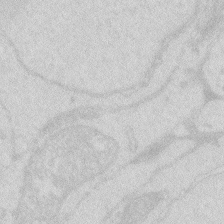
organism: Zebrafish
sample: Macrophage